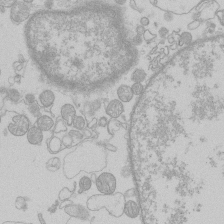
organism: Human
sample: Macrophage cells